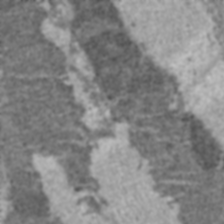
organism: C57BL Mouse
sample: Heart